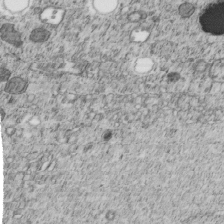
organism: C. elegans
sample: C. elegans embryo early stage